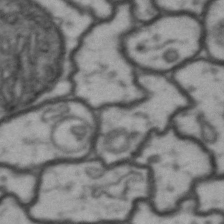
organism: Drosophila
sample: Brain